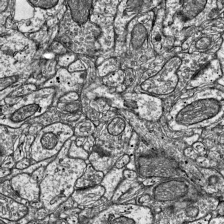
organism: Mouse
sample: Visual Cortex